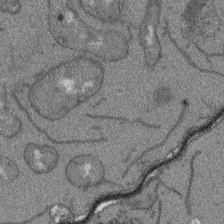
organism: Arabidopsis thaliana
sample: Root tip